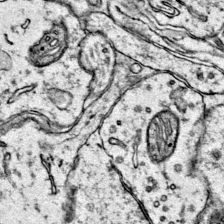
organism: Mouse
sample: Primary visual cortex